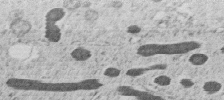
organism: C. elegans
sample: C. elegans embryo early stage